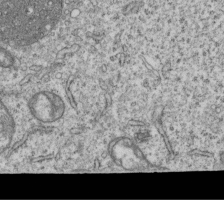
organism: Human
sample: MDA-MB-231 cells